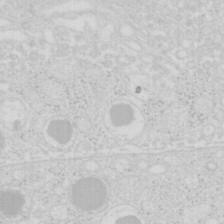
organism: Mouse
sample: Pancreas